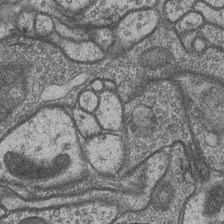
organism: Drosophila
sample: Optic medulla